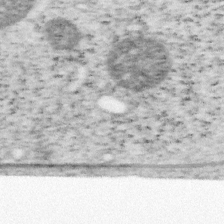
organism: Mouse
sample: OT-I killer T cells with ID8 ovarian cancer cells